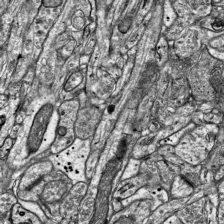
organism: Mouse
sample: Visual Cortex